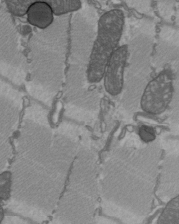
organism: C57BL Mouse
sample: Heart